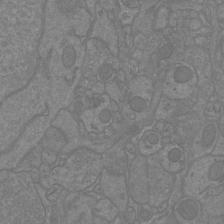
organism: Mouse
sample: Cortical neurons